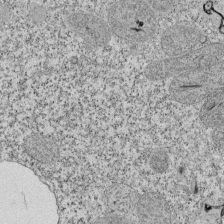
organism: Tetrahymena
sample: Cilia in tetrahymena